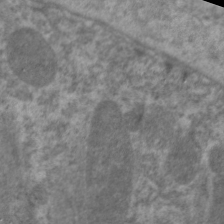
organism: C. elegans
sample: Pharynx